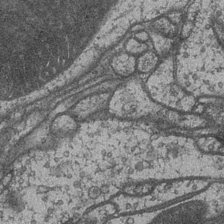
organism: Drosophila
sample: Optic medulla